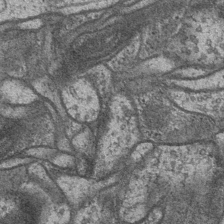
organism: Drosophila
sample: Optic medulla